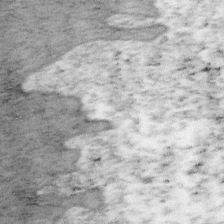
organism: Mouse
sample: OT-I killer T cells with ID8 ovarian cancer cells